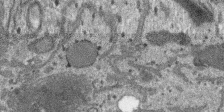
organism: Human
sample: Lung epithelial cells infected with SARS-CoV-2